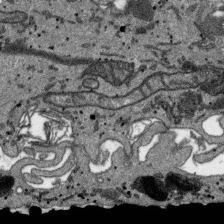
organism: Human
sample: Lung epithelial cells, uninfected (mock) control